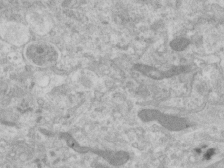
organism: Human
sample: Centriole in RPE cells